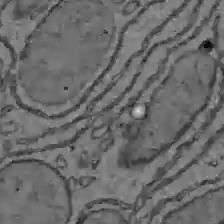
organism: C57BL Mouse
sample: Liver